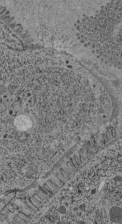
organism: C. elegans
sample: C. elegans pharynx